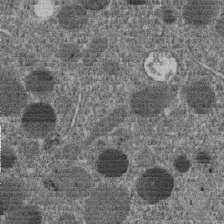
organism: C. elegans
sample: C. elegans embryo early stage